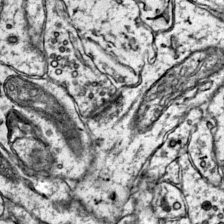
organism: Mouse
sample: Primary visual cortex